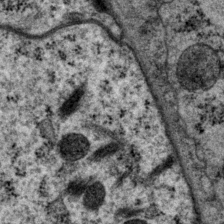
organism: P. pacificus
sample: Pharynx